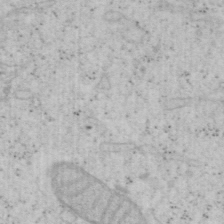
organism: Human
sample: HeLa cells